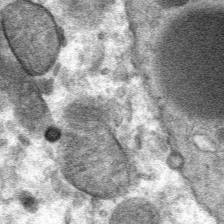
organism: Mouse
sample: Mouse Salivary gland